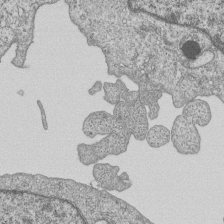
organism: Human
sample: MDA-MB-231 cells